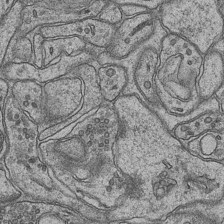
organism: Mouse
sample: CA1 Hippocampus